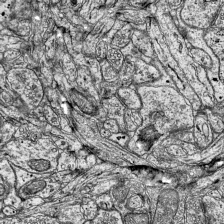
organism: Mouse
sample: Visual Cortex